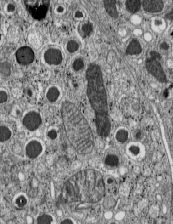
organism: C57BL Mouse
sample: Pancreatic islet